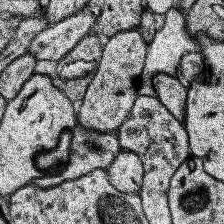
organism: Human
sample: Temporal Lobe